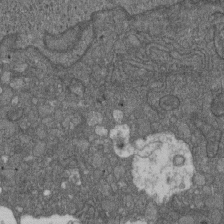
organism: Drosophila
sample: Nephrocyte